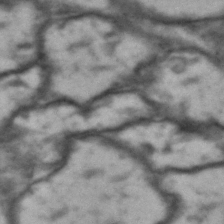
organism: Drosophila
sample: Brain